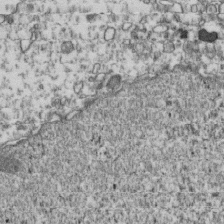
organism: Human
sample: Activated Jurkat CD4+ T cells